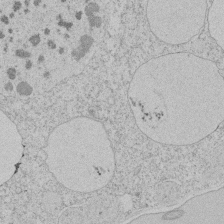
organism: Tetrahymena